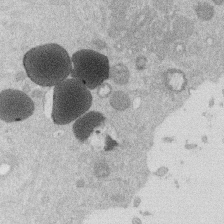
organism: Mouse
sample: Dividing mouse embryo 1 cell stage